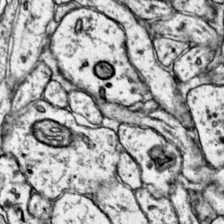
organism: Mouse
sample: Primary visual cortex